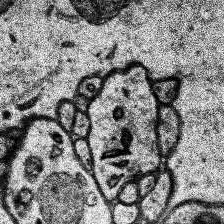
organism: Human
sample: Temporal Lobe